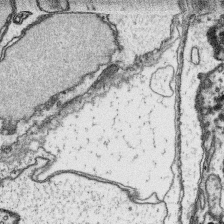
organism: Platynereis dumerilii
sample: Parapodia